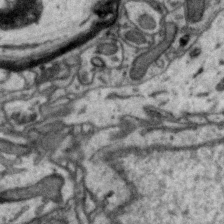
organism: Zebra finch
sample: Brain